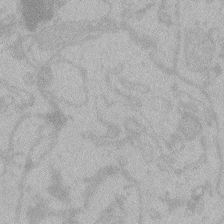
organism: Zebrafish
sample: Macrophage infected with Toxoplasma gondii